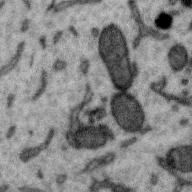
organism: Zebra finch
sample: Brain